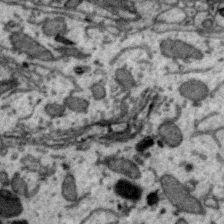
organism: Zebra finch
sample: Brain